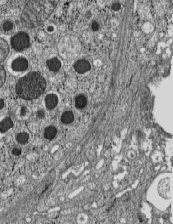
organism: C57BL Mouse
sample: Pancreatic islet